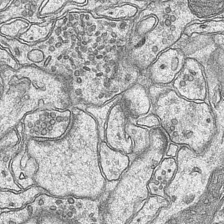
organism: Mouse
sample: CA1 Hippocampus